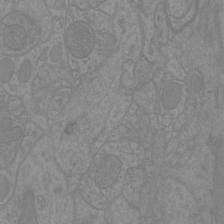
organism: Mouse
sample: Cortical neurons